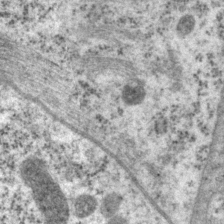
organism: P. pacificus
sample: Pharynx